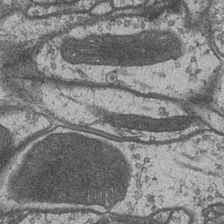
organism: Drosophila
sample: Optic medulla